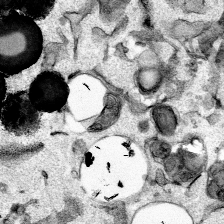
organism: Mouse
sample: Cancer cell death in ED-1 cells